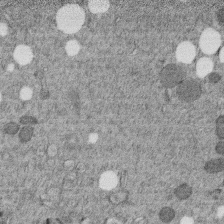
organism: C. elegans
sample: C. elegans embryo early stage